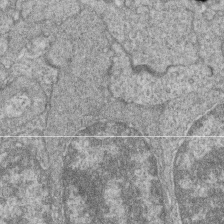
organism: Zebrafish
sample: Cilia; retinal pigment epithelium